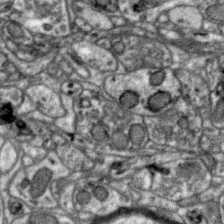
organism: Zebra finch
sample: Brain